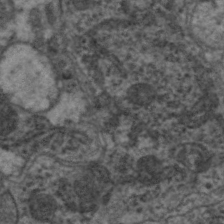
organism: C. elegans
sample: Pharynx